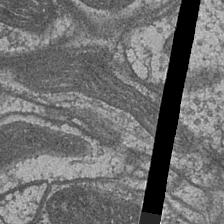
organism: Drosophila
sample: Optic medulla